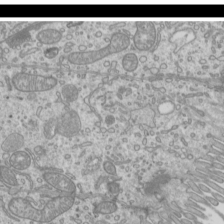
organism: Mouse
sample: Cilia; mouse epididymis